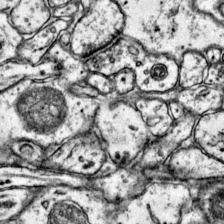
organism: Mouse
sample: Primary visual cortex